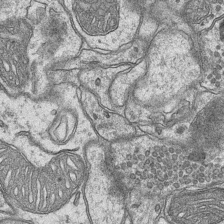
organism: Mouse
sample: CA1 Hippocampus